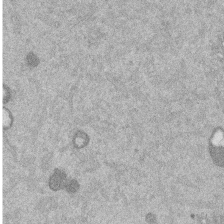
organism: Mouse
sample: Dividing mouse embryo 1 cell stage